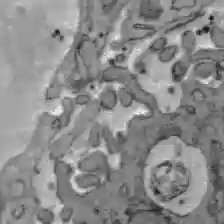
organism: C57BL Mouse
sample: Liver